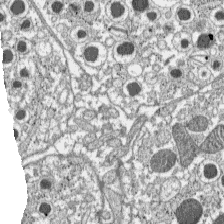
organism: C57BL Mouse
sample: Pancreatic islet